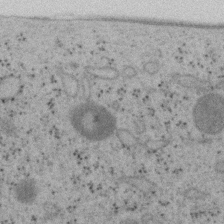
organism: Human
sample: HeLa cells